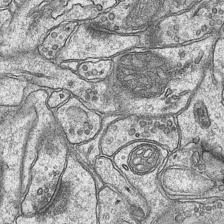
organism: Mouse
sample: CA1 Hippocampus